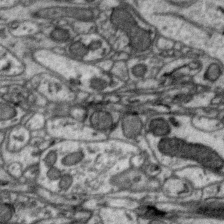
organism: Zebra finch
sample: Brain